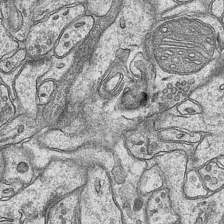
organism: Mouse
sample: CA1 Hippocampus